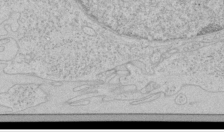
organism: Human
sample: Mitochondria in HCT116 cells